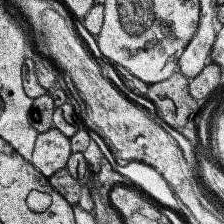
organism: Human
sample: Temporal Lobe